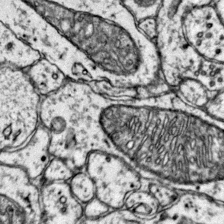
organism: Mouse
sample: Primary visual cortex